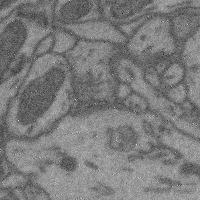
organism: Mouse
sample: Cerebral cortex